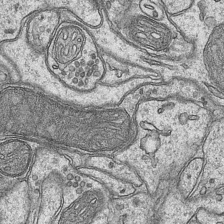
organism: Mouse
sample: CA1 Hippocampus